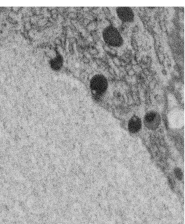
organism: C. elegans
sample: C. elegans oocyte; sperm cells